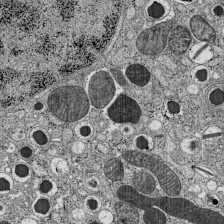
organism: C57BL Mouse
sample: Pancreatic islet